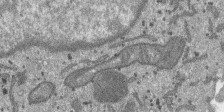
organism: Human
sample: Lung epithelial cells infected with SARS-CoV-2